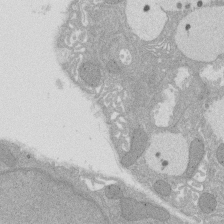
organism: Rat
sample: Salivary granule